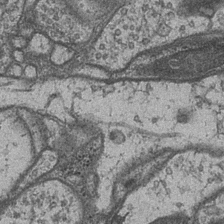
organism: Drosophila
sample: Optic medulla